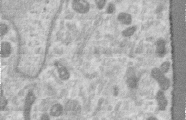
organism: Human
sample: Centriole in RPE cells